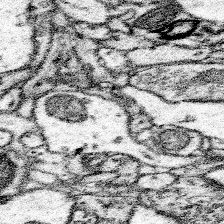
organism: Mouse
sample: Somatosensory cortex neuropil